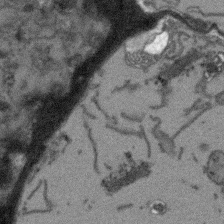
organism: Arabidopsis thaliana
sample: Root tip